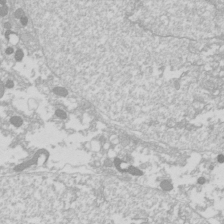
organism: Drosophila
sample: Cell division; meiosis; drosophila spermatocytes